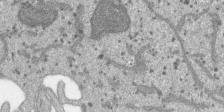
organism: Human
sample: Lung epithelial cells infected with SARS-CoV-2